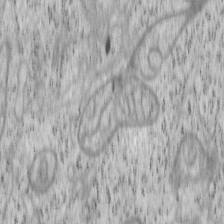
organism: Human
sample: HeLa cells